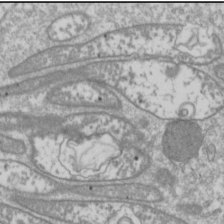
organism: Drosophila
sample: Cell division; meiosis; drosophila spermatocytes